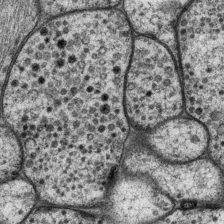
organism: P. pacificus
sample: Pharynx